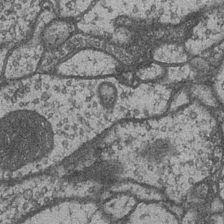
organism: Drosophila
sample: Optic medulla